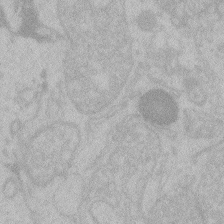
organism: Zebrafish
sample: Macrophage infected with Toxoplasma gondii